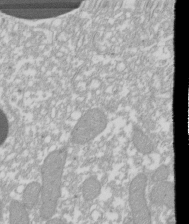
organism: Xenopus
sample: Cilia; centrioles in frog embryo cells